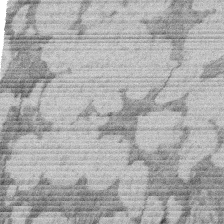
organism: Rat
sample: Salivary granule